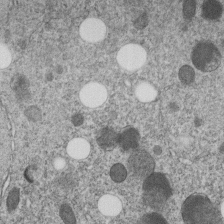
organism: C. elegans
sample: C. elegans embryo early stage